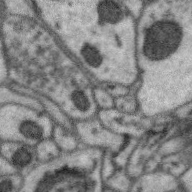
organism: Zebra finch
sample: Brain